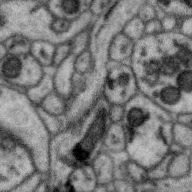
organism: Zebra finch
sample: Brain